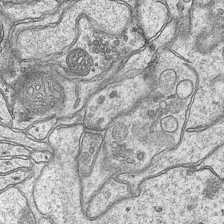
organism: Mouse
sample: CA1 Hippocampus